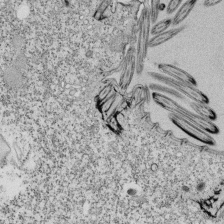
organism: Tetrahymena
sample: Cilia in tetrahymena